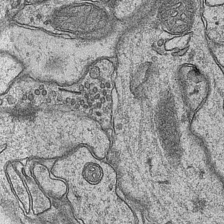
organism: Mouse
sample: CA1 Hippocampus